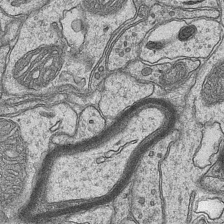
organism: Mouse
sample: CA1 Hippocampus